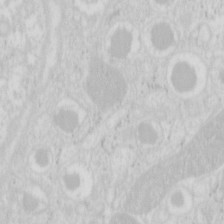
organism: Mouse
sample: Pancreas